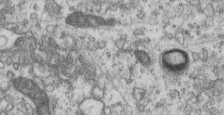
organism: Mouse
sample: Centriole in ependymal cells